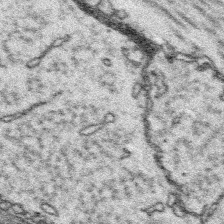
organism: Platynereis dumerilii